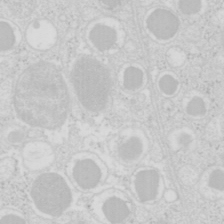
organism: Mouse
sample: Pancreas